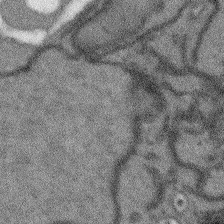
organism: Arabidopsis thaliana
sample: Root tip